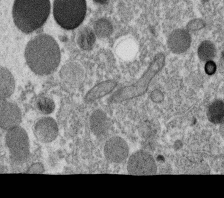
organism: C. elegans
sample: C. elegans oocyte; sperm cells